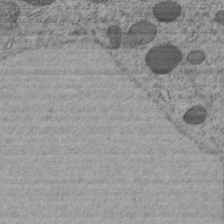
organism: C. elegans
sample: C. elegans embryo early stage